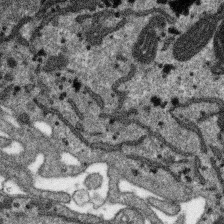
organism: Human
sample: Lung epithelial cells infected with SARS-CoV-2